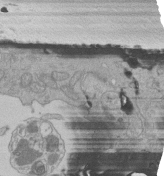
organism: Human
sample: Retinal organoid Rod and Cone cells